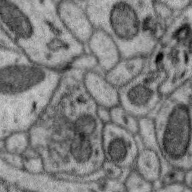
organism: Zebra finch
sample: Brain